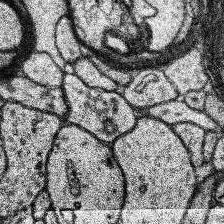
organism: Human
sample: Temporal Lobe